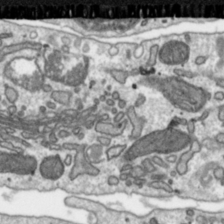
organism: Toxoplasma gondii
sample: Parasites in a vacuole inside a host cell